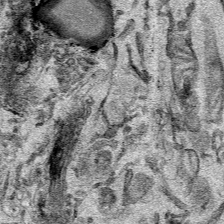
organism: Mouse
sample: Cancer cell death in ED-1 cells